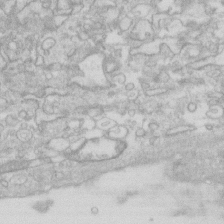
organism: Human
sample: Fibroblast cells